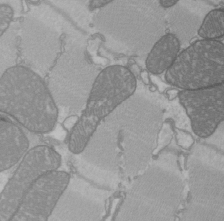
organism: C57BL Mouse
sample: Heart